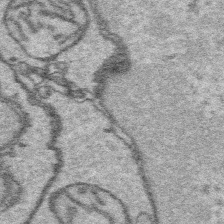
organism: Platynereis dumerilii